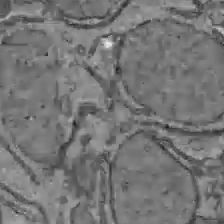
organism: C57BL Mouse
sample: Liver